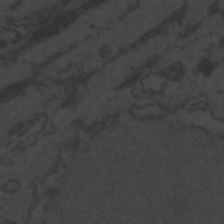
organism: Zebrafish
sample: Macrophage infected with Toxoplasma gondii